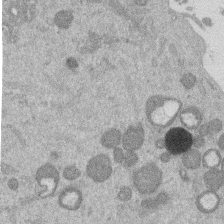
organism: Mouse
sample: Dividing mouse embryo 1 cell stage